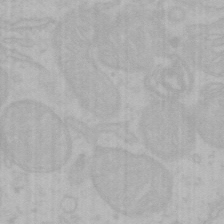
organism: Mouse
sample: Choroid plexus